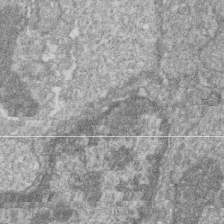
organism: Zebrafish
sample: Cilia; retinal pigment epithelium